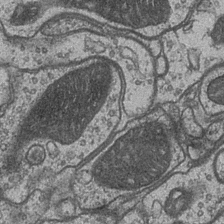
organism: Drosophila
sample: Optic medulla